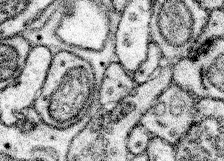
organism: Mouse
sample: Somatosensory cortex neuropil